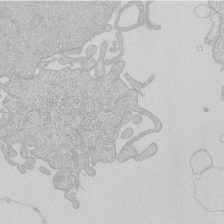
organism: Human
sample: Macrophage cells